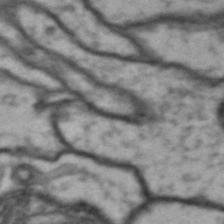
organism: Drosophila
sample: Brain